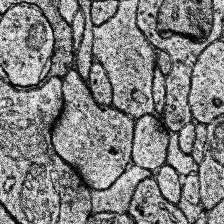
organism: Human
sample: Temporal Lobe